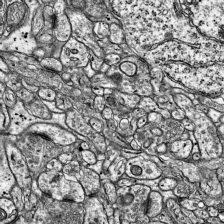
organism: Mouse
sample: Visual Cortex